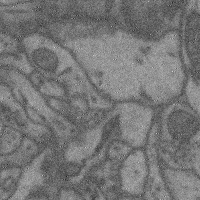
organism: Mouse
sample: Cerebral cortex